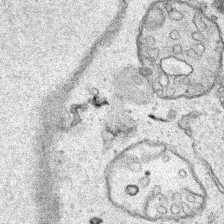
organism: Human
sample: Mitochondria in HCT116 cells